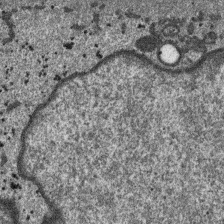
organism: Human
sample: Lung epithelial cells infected with SARS-CoV-2